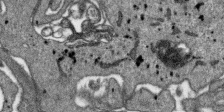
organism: Human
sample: Lung epithelial cells, uninfected (mock) control